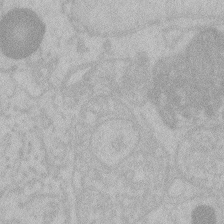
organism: Zebrafish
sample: Macrophage infected with Toxoplasma gondii